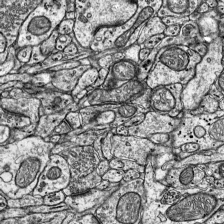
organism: Mouse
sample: Visual Cortex